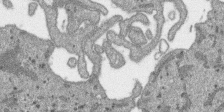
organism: Human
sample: Lung epithelial cells infected with SARS-CoV-2